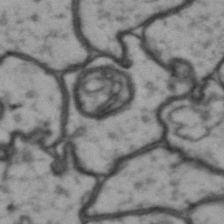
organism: Drosophila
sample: Brain